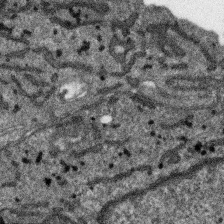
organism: Human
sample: Lung epithelial cells infected with SARS-CoV-2